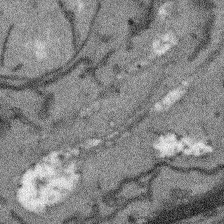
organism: Arabidopsis thaliana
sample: Root tip